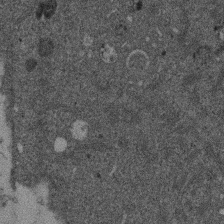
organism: Mouse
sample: Dividing mouse embryo 1 cell stage